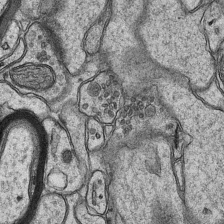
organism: Mouse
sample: CA1 Hippocampus